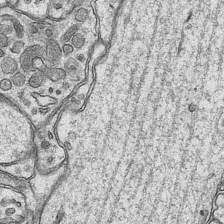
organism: Mouse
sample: CA1 Hippocampus